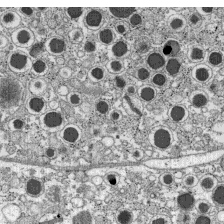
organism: C57BL Mouse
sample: Pancreatic islet